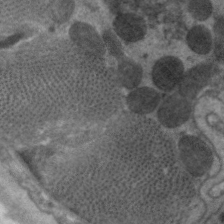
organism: C. elegans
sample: Pharynx